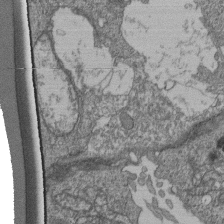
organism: Human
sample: Retinal organoid Rod and Cone cells